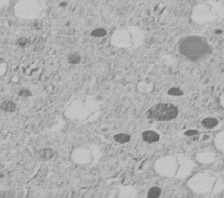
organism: C. elegans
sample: C. elegans embryo early stage